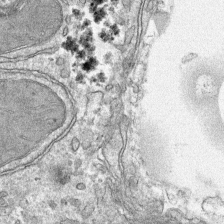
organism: Mouse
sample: Mouse hepatocytes